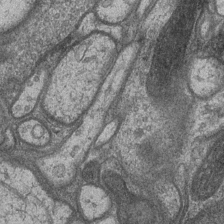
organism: Drosophila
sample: Optic medulla